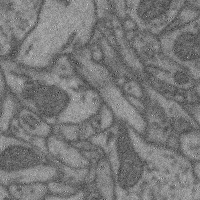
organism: Mouse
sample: Cerebral cortex